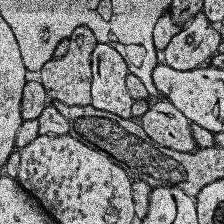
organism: Human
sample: Temporal Lobe